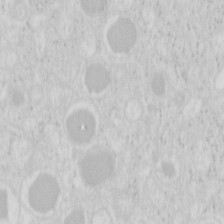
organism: Mouse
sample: Pancreas